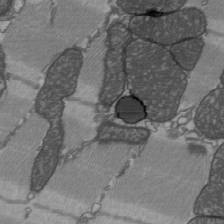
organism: C57BL Mouse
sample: Heart